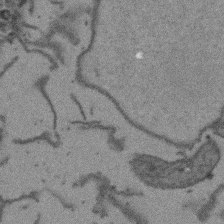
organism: Arabidopsis thaliana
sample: Root tip